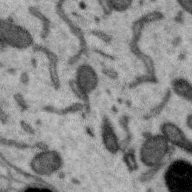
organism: Zebra finch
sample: Brain